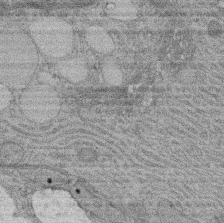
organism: Rat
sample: Salivary granule